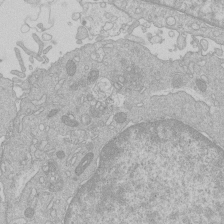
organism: Human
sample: Macrophage cells